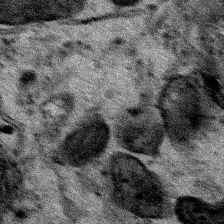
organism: Human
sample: Mitochondria in HCT116 cells